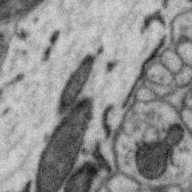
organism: Zebra finch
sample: Brain